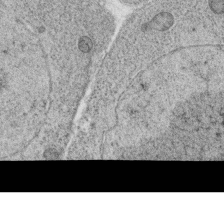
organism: C. elegans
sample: C. elegans oocyte; sperm cells